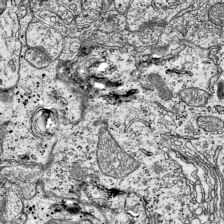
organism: Mouse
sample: Visual Cortex